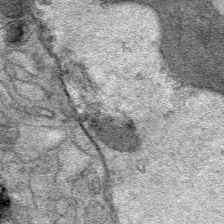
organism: Mouse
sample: Mouse Salivary gland